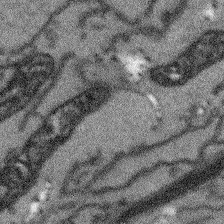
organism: Arabidopsis thaliana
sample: Root tip